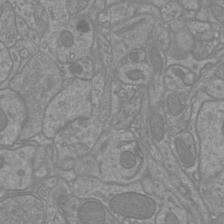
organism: Mouse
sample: Cortical neurons